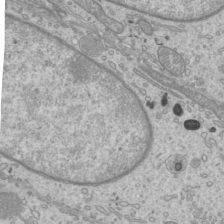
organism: Mouse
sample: Cilia; mouse epididymis